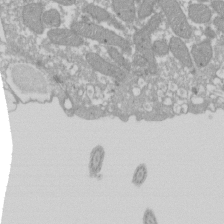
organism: Xenopus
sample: Cilia; centrioles in frog embryo cells